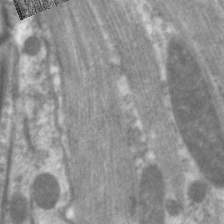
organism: C. elegans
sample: Pharynx